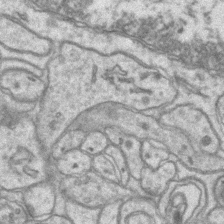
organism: Mouse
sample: CA1 Hippocampus